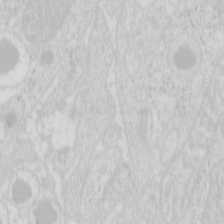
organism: Mouse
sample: Pancreas